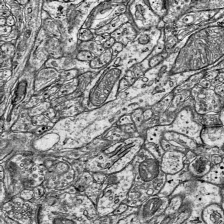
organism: Mouse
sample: Visual Cortex